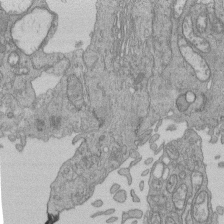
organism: Human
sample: Retinal organoid Rod and Cone cells